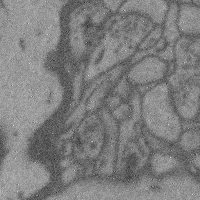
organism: Mouse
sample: Cerebral cortex